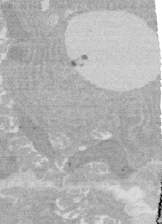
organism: Rat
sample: Salivary granule